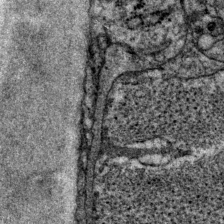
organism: P. pacificus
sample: Pharynx